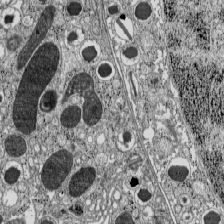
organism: C57BL Mouse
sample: Pancreatic islet